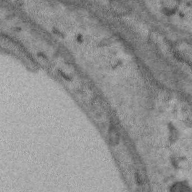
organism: Zebra finch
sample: Brain